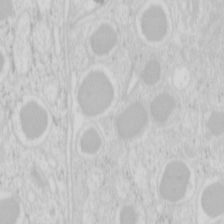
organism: Mouse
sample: Pancreas